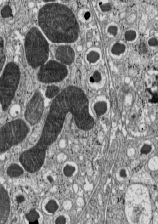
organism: C57BL Mouse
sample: Pancreatic islet